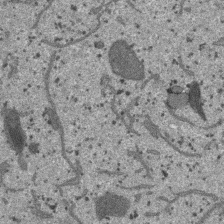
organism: Human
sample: Lung epithelial cells infected with SARS-CoV-2